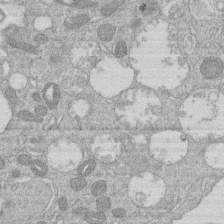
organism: Human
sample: Macrophage cells